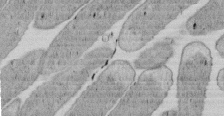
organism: E. coli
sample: Bacterial nucleoid